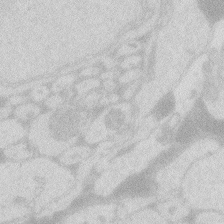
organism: Zebrafish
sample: Macrophage